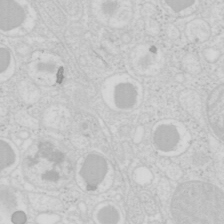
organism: Mouse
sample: Pancreas